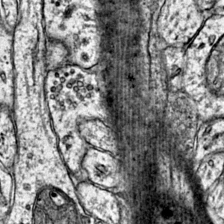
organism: Mouse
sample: Primary visual cortex